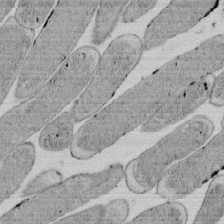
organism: E. coli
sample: Bacterial nucleoid